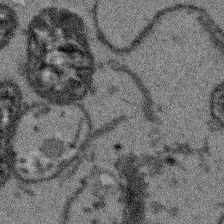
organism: Arabidopsis thaliana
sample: Root tip